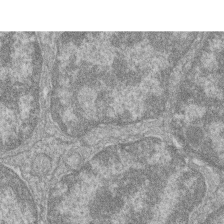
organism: Zebrafish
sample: Cilia; retinal pigment epithelium